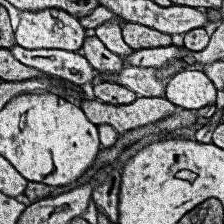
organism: Human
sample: Temporal Lobe